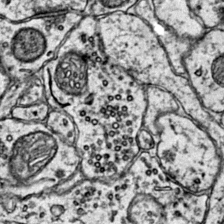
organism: Mouse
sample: Primary visual cortex